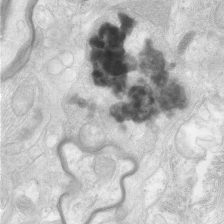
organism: Human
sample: Neocortex